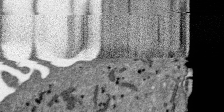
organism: Human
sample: Lung epithelial cells, uninfected (mock) control